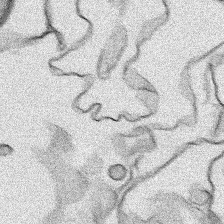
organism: Human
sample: Mitochondria in HCT116 cells